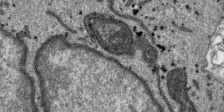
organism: Human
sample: Lung epithelial cells, uninfected (mock) control